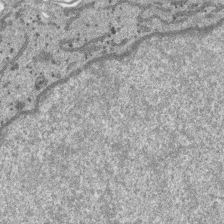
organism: Human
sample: Lung epithelial cells infected with SARS-CoV-2